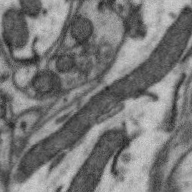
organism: Zebra finch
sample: Brain